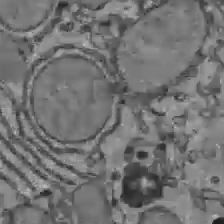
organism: C57BL Mouse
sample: Liver